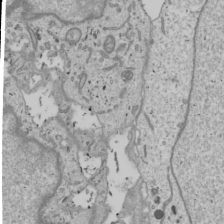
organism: Human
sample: Mitochondria in U2OS cells